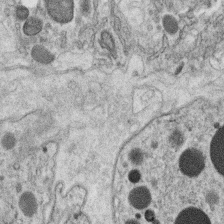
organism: C. elegans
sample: C. elegans oocyte; sperm cells